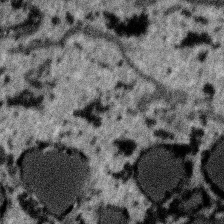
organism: Human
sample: Lung epithelial cells infected with SARS-CoV-2